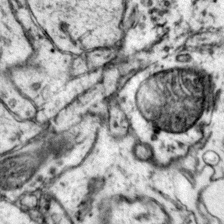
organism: Mouse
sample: Primary visual cortex